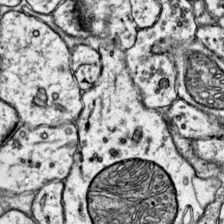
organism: Mouse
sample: Primary visual cortex